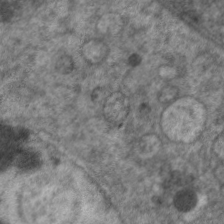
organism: C. elegans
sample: Pharynx